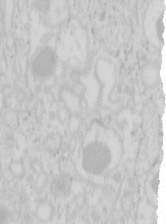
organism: Mouse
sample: Pancreas